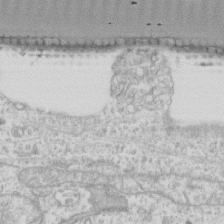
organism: Human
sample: Fibroblast cells